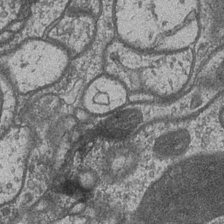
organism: Drosophila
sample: Optic medulla